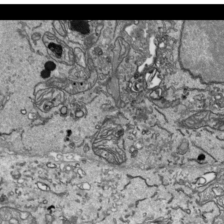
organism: Human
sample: Mitochondria in HCT116 cells